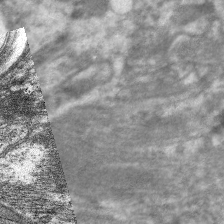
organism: C. elegans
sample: Pharynx